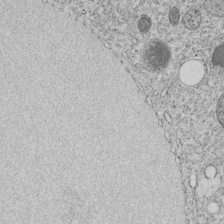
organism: C. elegans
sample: C. elegans embryo early stage